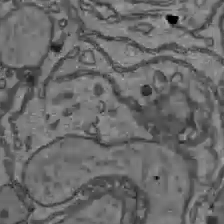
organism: C57BL Mouse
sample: Liver